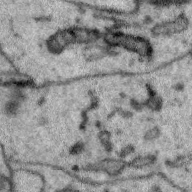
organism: Zebra finch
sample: Brain